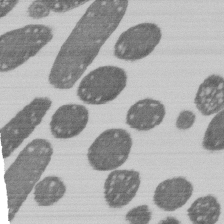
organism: E. coli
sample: Bacterial nucleoid